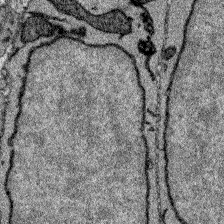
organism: Zebrafish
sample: Larval olfactory bulb